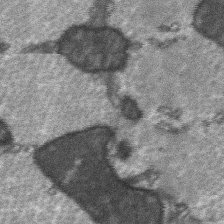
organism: C57BL Mouse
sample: Soleus